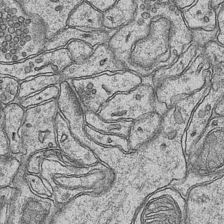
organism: Mouse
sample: CA1 Hippocampus